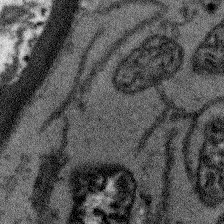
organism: Arabidopsis thaliana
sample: Root tip